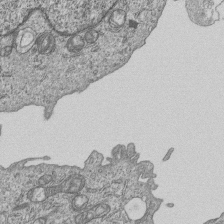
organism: Human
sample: MDA-MB-231 cells